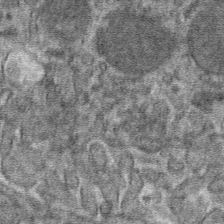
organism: Mouse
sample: Mouse hepatocytes